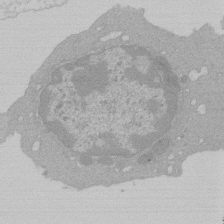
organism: Mouse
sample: Activated Pmel transgenic CD8+ T Cells